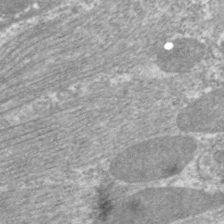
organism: C. elegans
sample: Pharynx